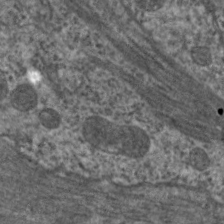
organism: C. elegans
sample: Pharynx